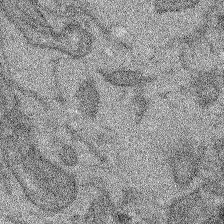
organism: Human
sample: HeLa cells